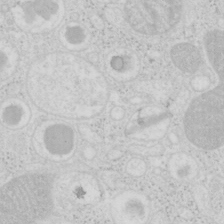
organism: Mouse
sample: Pancreas